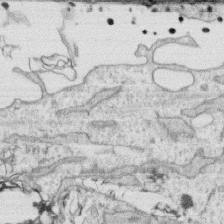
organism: Human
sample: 1205lu cells